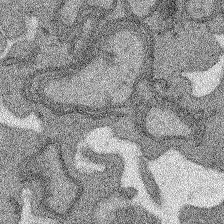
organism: Human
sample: HeLa cells